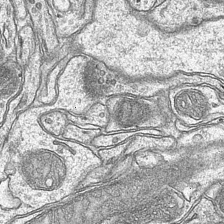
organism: Mouse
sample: CA1 Hippocampus